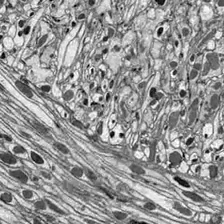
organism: Drosophila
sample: Optic lobe